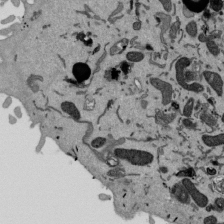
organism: Mouse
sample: ED-1 cell nuclei; centrioles